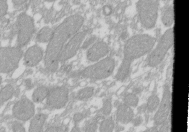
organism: Xenopus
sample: Cilia; centrioles in frog embryo cells